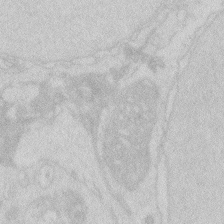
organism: Zebrafish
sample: Macrophage